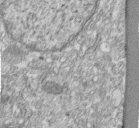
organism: Human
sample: Centriole in fibroblast cells